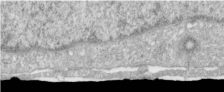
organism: Human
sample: Centriole in RPE cells